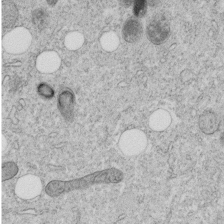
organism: C. elegans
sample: C. elegans embryo early stage